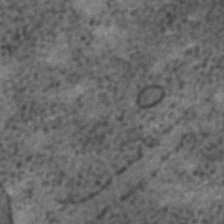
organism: C. elegans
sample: C. elegans embryo